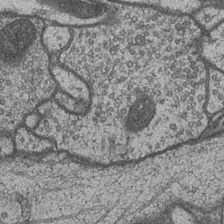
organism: Drosophila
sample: Optic medulla